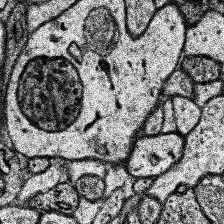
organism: Human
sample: Temporal Lobe